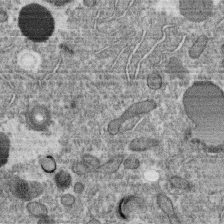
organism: C. elegans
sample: C. elegans oocyte; sperm cells